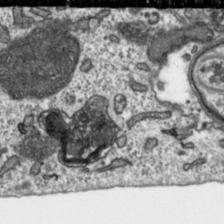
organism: Toxoplasma gondii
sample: Parasites in a vacuole inside a host cell